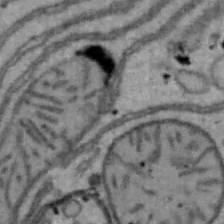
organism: Mouse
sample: Liver